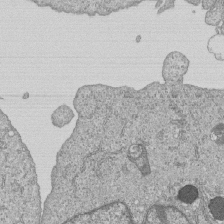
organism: Human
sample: MDA-MB-231 cells